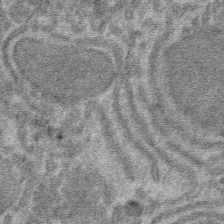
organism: Mouse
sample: Mouse hepatocytes